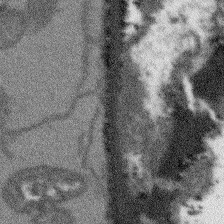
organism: Arabidopsis thaliana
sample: Root tip